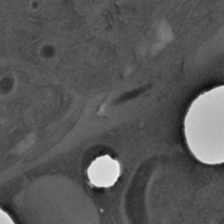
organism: C. elegans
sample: C. elegans embryo